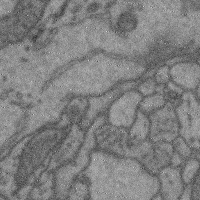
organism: Mouse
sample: Cerebral cortex